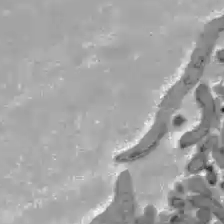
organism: C57BL Mouse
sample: Liver